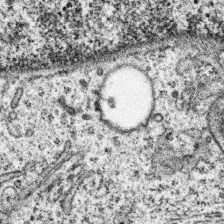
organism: Human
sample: HeLa cells